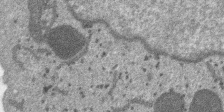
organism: Human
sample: Lung epithelial cells infected with SARS-CoV-2